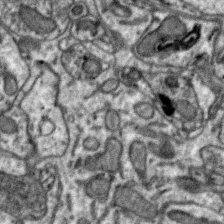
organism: Zebra finch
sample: Brain